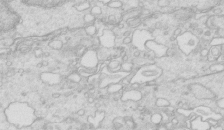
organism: Mouse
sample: Multiciliated cells